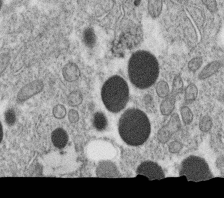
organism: C. elegans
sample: C. elegans oocyte; sperm cells